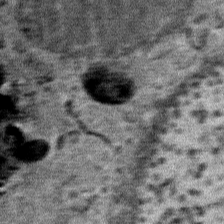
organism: Mouse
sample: Mouse Salivary gland